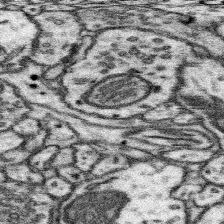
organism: Mouse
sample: Somatosensory cortex neuropil